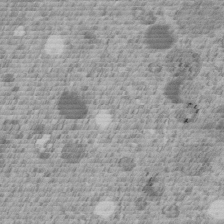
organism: C. elegans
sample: C. elegans embryo early stage